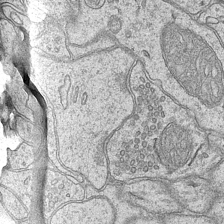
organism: Mouse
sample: CA1 Hippocampus